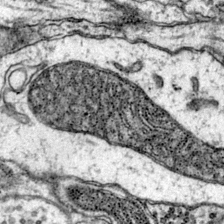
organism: Mouse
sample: Primary visual cortex